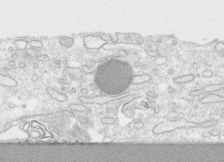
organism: Human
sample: CRL-1474